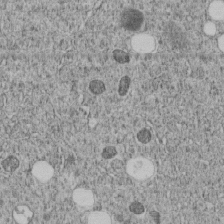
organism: C. elegans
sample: C. elegans embryo early stage